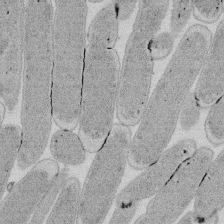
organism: E. coli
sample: Bacterial nucleoid